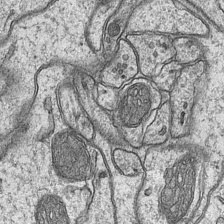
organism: Mouse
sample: CA1 Hippocampus